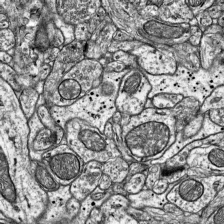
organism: Mouse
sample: Visual Cortex